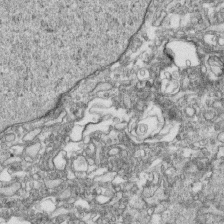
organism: Human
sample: CRL-1474